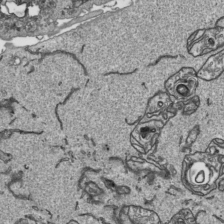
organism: Human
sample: Mitochondria in HCT116 cells